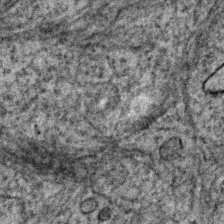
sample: Trachea